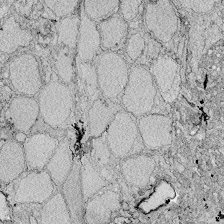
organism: Zebrafish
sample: Whole-Brain